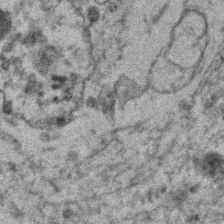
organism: Human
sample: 1205lu cells